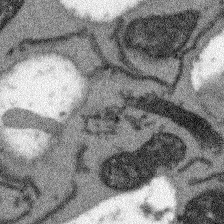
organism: Arabidopsis thaliana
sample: Root tip